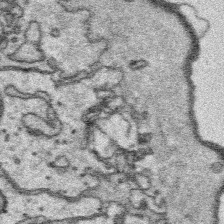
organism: Platynereis dumerilii